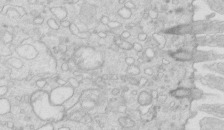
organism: Mouse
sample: Multiciliated cells